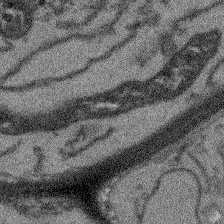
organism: Arabidopsis thaliana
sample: Root tip